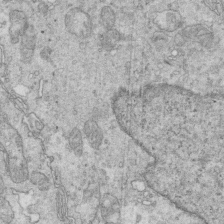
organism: Mouse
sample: Multiciliated cells